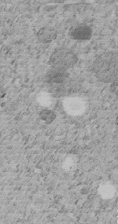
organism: C. elegans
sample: C. elegans embryo early stage